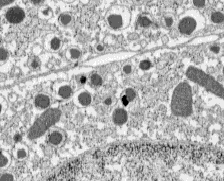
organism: C57BL Mouse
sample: Pancreatic islet